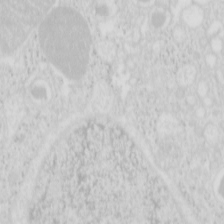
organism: Mouse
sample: Pancreas